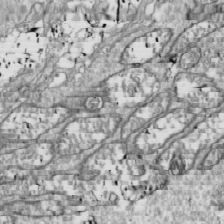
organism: Drosophila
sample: Cell division; meiosis; drosophila spermatocytes